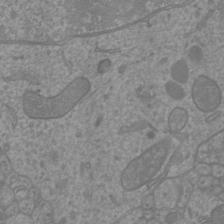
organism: Mouse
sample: Cortical neurons